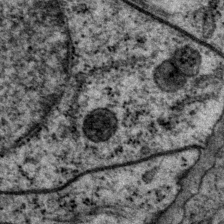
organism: P. pacificus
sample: Pharynx